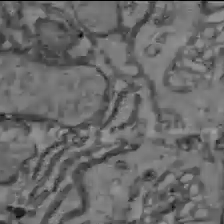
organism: C57BL Mouse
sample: Liver